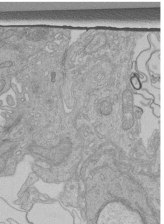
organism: Human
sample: Retinal organoid Rod and Cone cells